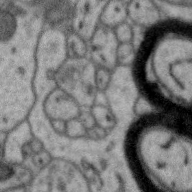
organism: Zebra finch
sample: Brain